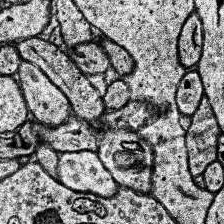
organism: Human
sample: Temporal Lobe